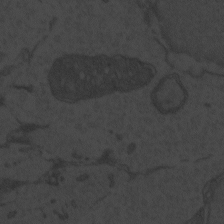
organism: Zebrafish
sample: Macrophage infected with Toxoplasma gondii